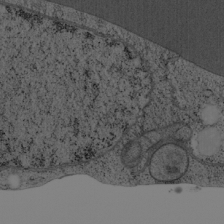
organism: African green monkey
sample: COS-7 cells